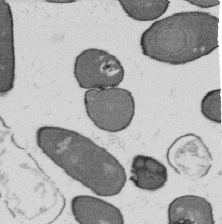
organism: B. subtilis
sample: Bacterial spore